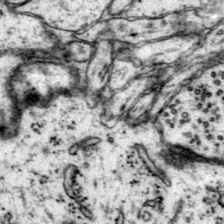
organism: Mouse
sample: Primary visual cortex